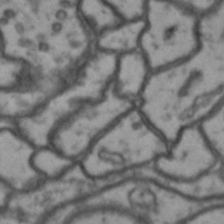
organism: Drosophila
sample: Brain